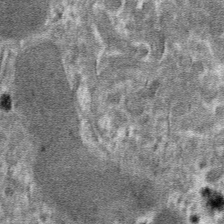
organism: Mouse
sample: Mouse hepatocytes